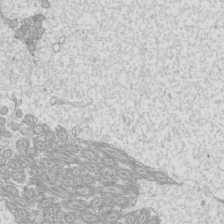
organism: Mouse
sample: Cilia; mouse epididymis